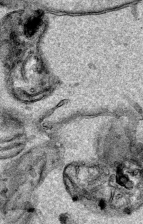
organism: Human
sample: Mitochondria in HCT116 cells